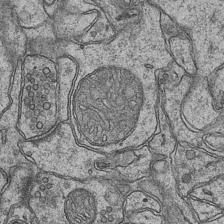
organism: Mouse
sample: CA1 Hippocampus